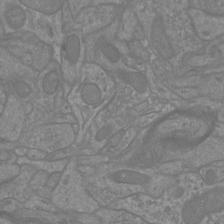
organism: Mouse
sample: Cortical neurons